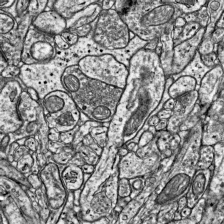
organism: Mouse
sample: Visual Cortex